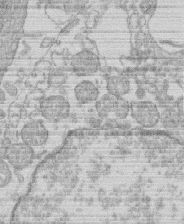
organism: Human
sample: Macrophage cells